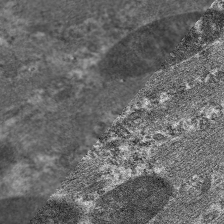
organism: C. elegans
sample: Pharynx